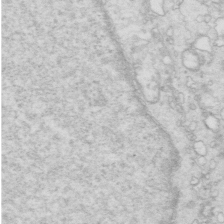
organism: Mouse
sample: Multiciliated cells